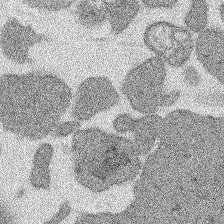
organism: Human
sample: HeLa cells